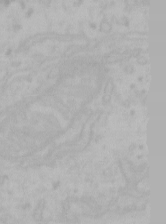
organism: Mouse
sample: Choroid plexus